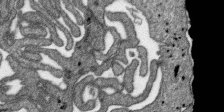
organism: Human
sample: Lung epithelial cells, uninfected (mock) control